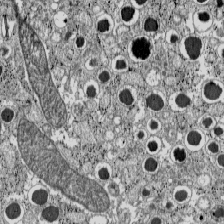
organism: C57BL Mouse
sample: Pancreatic islet